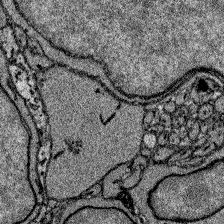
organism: Zebrafish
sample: Larval olfactory bulb